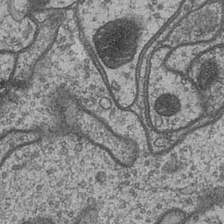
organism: Drosophila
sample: Optic medulla